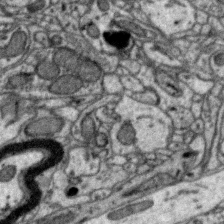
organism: Zebra finch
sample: Brain